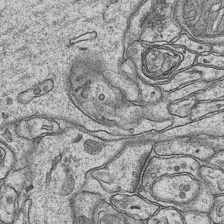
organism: Mouse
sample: CA1 Hippocampus